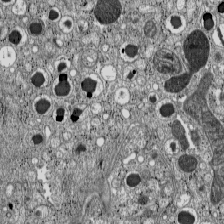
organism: C57BL Mouse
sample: Pancreatic islet